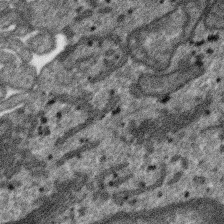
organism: Human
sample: Lung epithelial cells infected with SARS-CoV-2